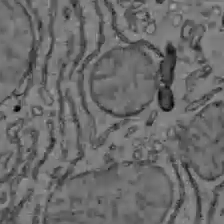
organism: C57BL Mouse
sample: Liver